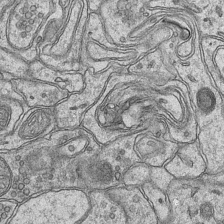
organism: Mouse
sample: CA1 Hippocampus